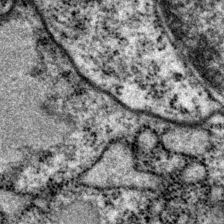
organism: P. pacificus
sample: Pharynx